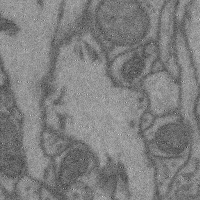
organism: Mouse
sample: Cerebral cortex